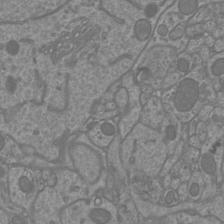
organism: Mouse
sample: Cortical neurons